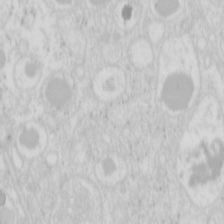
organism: Mouse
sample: Pancreas